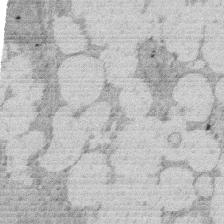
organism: Rat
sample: Salivary granule